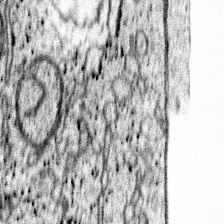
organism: Human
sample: HeLa cells